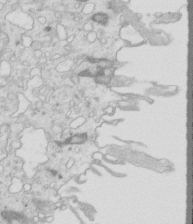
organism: Mouse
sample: Multiciliated cells